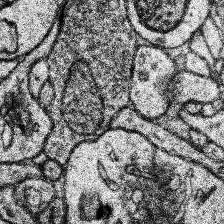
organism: Human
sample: Temporal Lobe